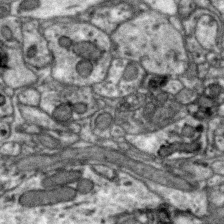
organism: Zebra finch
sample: Brain